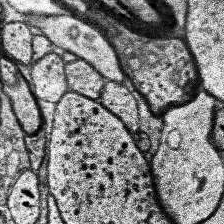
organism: Human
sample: Temporal Lobe